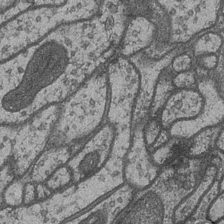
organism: Drosophila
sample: Optic medulla